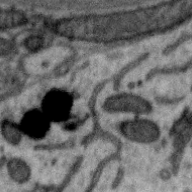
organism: Zebra finch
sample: Brain